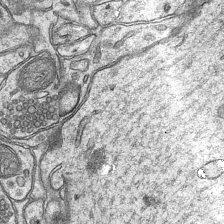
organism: Mouse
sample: CA1 Hippocampus